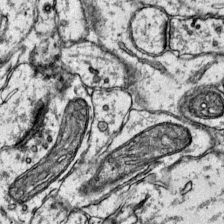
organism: Mouse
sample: Primary visual cortex